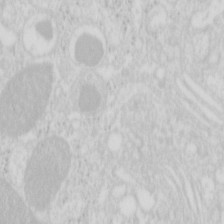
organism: Mouse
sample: Pancreas